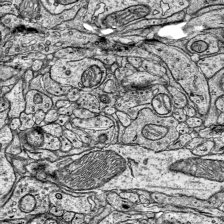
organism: Mouse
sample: Visual Cortex